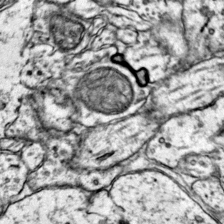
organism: Mouse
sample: Primary visual cortex